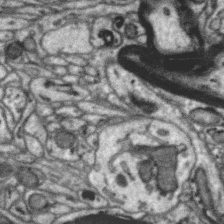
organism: Zebra finch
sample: Brain